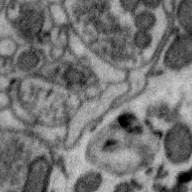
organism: Zebra finch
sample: Brain